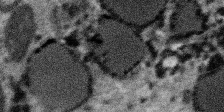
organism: Human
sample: Lung epithelial cells infected with SARS-CoV-2